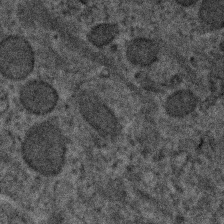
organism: Human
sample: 1205lu cells